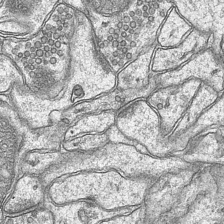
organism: Mouse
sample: CA1 Hippocampus